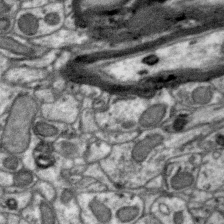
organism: Zebra finch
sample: Brain